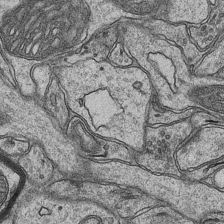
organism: Mouse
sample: CA1 Hippocampus